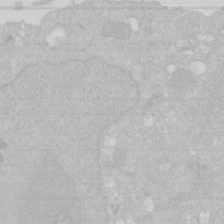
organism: Human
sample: HIV infected U937 cells